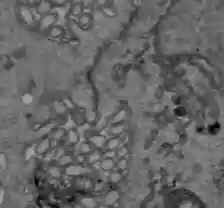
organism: C57BL Mouse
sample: Liver